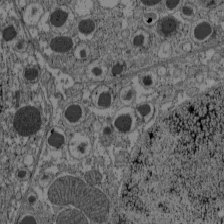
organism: C57BL Mouse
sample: Pancreatic islet